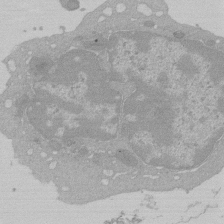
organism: Mouse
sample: Activated Pmel transgenic CD8+ T Cells